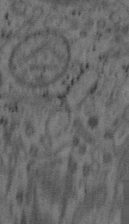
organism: Human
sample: HeLa cells